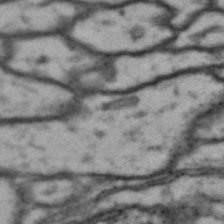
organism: Drosophila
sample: Brain